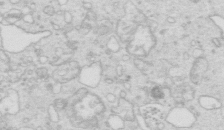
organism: Mouse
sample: Multiciliated cells